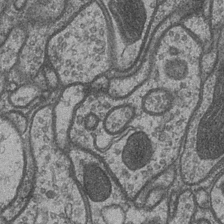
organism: Drosophila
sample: Optic medulla